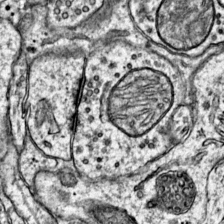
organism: Mouse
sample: Primary visual cortex